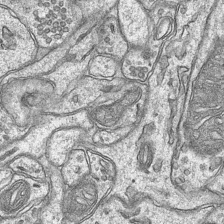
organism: Mouse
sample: CA1 Hippocampus